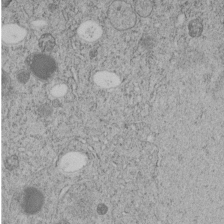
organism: C. elegans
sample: C. elegans embryo early stage